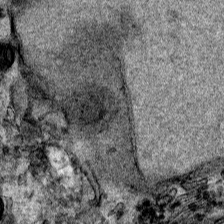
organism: Human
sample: Mitochondria in HCT116 cells